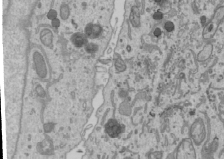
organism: Human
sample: Mitochondria in U2OS cells